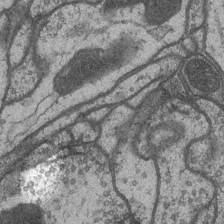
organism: Drosophila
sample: Optic medulla